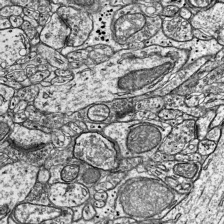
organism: Mouse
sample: Visual Cortex